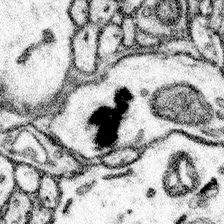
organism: Mouse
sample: Somatosensory cortex neuropil